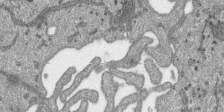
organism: Human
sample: Lung epithelial cells infected with SARS-CoV-2